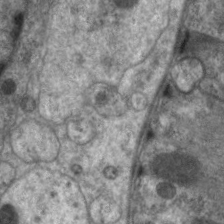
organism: C. elegans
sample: Pharynx